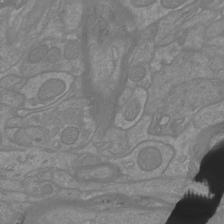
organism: Mouse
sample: Cortical neurons